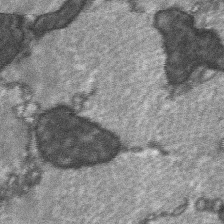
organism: C57BL Mouse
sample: Soleus